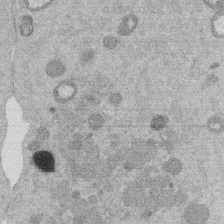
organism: Mouse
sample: Dividing mouse embryo 1 cell stage